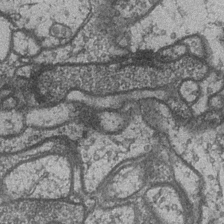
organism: Drosophila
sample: Optic medulla